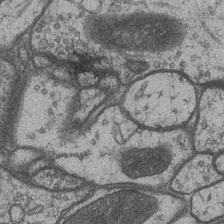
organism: Drosophila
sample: Optic medulla